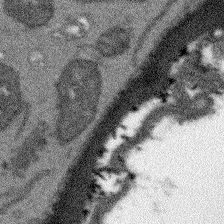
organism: Arabidopsis thaliana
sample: Root tip